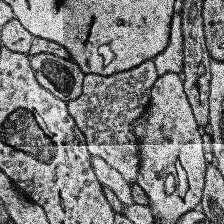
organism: Human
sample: Temporal Lobe